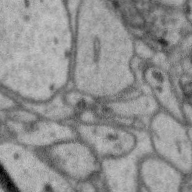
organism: Zebra finch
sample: Brain